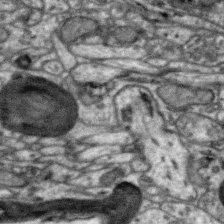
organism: Zebra finch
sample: Brain